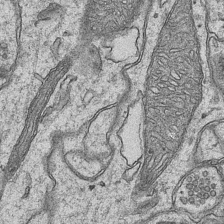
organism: Mouse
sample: CA1 Hippocampus